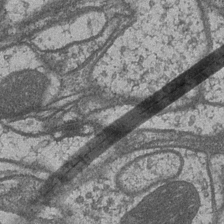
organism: Drosophila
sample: Optic medulla